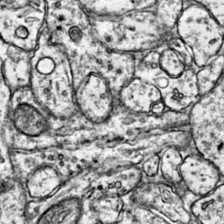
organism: Mouse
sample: Primary visual cortex